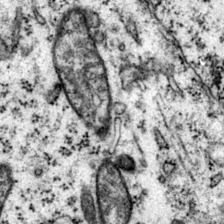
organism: Mouse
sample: Primary visual cortex